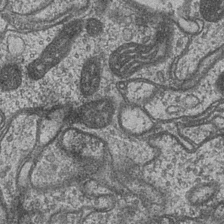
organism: Drosophila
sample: Optic medulla